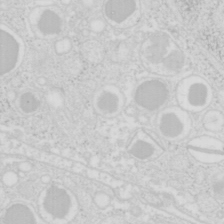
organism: Mouse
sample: Pancreas